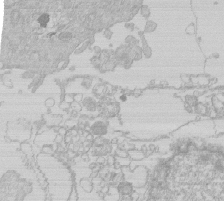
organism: Human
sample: Macrophage cells